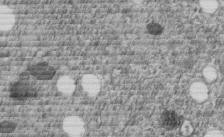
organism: C. elegans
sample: C. elegans embryo early stage